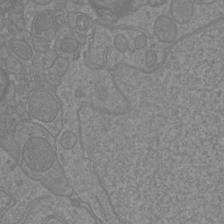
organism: Mouse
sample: Cortical neurons